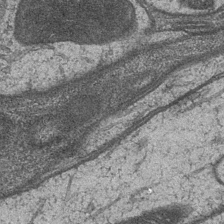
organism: Drosophila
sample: Optic medulla